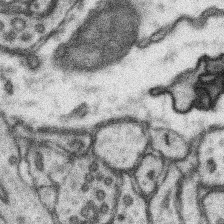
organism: Mouse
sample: Somatosensory cortex neuropil